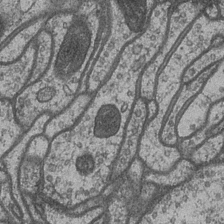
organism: Drosophila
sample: Optic medulla